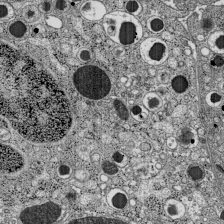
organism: C57BL Mouse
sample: Pancreatic islet